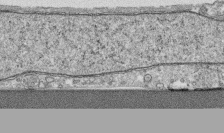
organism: Human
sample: CRL-1474